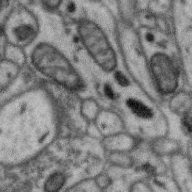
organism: Zebra finch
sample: Brain